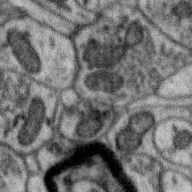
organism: Zebra finch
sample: Brain